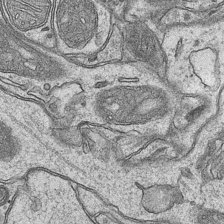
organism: Mouse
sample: CA1 Hippocampus